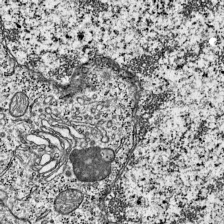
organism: Mouse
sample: Visual Cortex